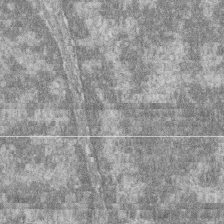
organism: Zebrafish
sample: Cilia; retinal pigment epithelium